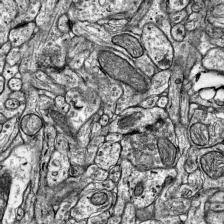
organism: Mouse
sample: Visual Cortex